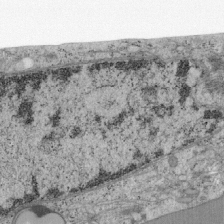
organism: Human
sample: HeLa cells